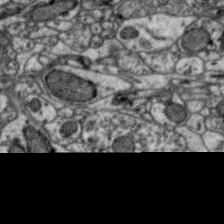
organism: Zebra finch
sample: Brain